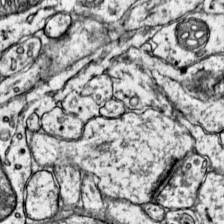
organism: Mouse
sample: Primary visual cortex